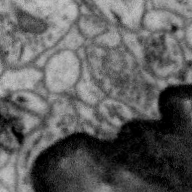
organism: Zebra finch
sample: Brain